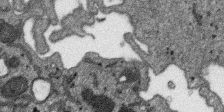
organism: Human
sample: Lung epithelial cells infected with SARS-CoV-2